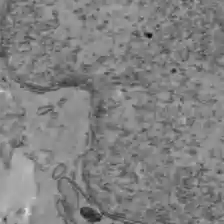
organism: C57BL Mouse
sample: Liver